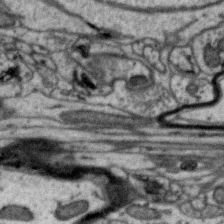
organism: Zebra finch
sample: Brain